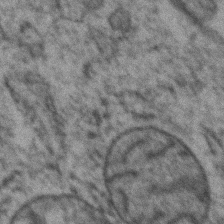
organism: Zebrafish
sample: Zebrafish embryo